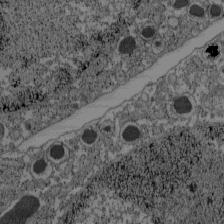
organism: C57BL Mouse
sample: Pancreatic islet